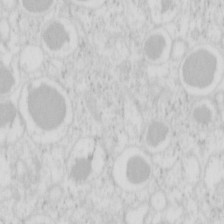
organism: Mouse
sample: Pancreas